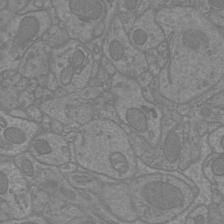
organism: Mouse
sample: Cortical neurons